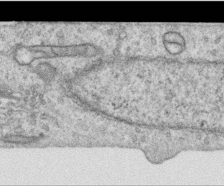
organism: Human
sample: Centriole in RPE cells